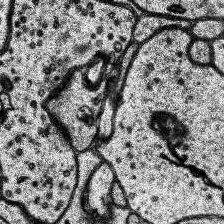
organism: Human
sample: Temporal Lobe